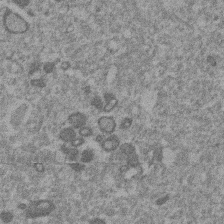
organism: Mouse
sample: Dividing mouse embryo 1 cell stage